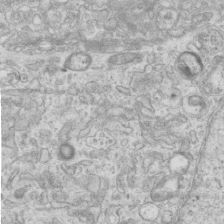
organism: Mouse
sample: Centriole in ependymal cells